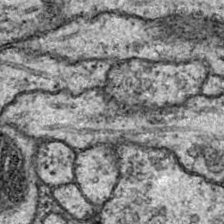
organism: Drosophila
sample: Ventral Nerve Cord